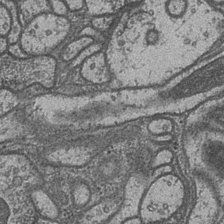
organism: Drosophila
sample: Optic medulla